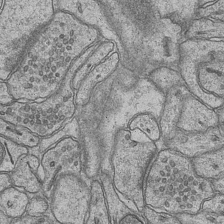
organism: Mouse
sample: CA1 Hippocampus